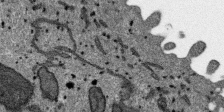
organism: Human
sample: Lung epithelial cells, uninfected (mock) control